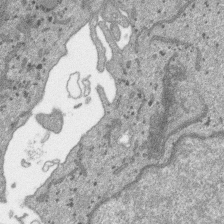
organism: Human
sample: Lung epithelial cells infected with SARS-CoV-2